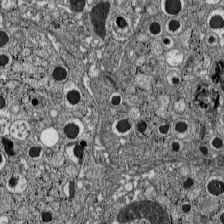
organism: C57BL Mouse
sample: Pancreatic islet